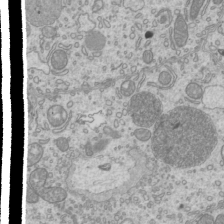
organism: Mouse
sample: Cilia; mouse epididymis